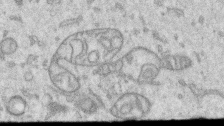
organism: Human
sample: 1205lu cells